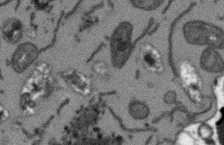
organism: Arabidopsis thaliana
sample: Root tip